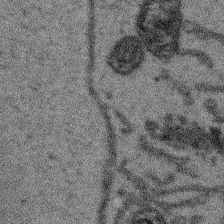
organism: Arabidopsis thaliana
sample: Root tip